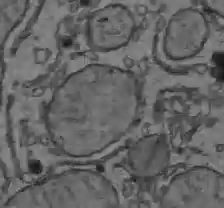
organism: C57BL Mouse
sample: Liver